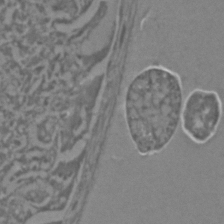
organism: C. elegans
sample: C. elegans embryo